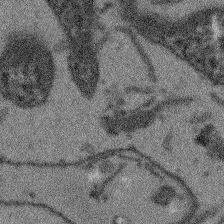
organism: Arabidopsis thaliana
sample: Root tip